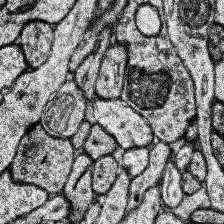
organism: Human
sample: Temporal Lobe